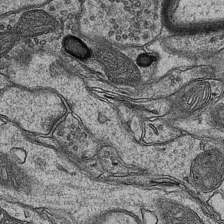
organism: Mouse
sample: CA1 Hippocampus